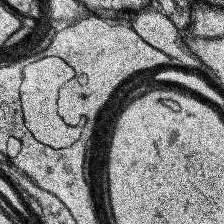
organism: Human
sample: Temporal Lobe